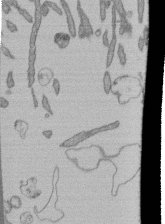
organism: Human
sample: Retinal organoid Rod and Cone cells